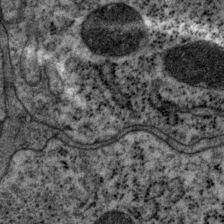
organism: P. pacificus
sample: Pharynx